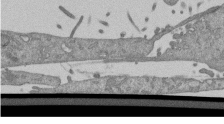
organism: Mouse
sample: ED-1 cell nuclei; centrioles